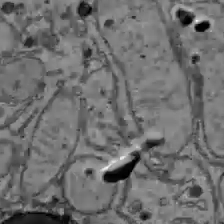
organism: C57BL Mouse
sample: Liver